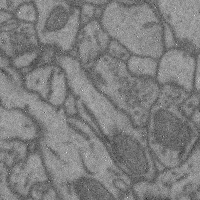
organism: Mouse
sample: Cerebral cortex